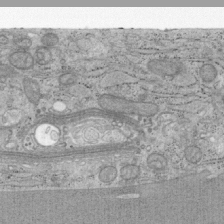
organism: Human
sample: HeLa cells